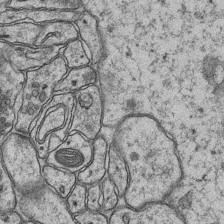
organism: Mouse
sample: CA1 Hippocampus